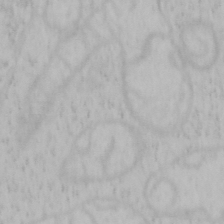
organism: Human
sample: HeLa cells